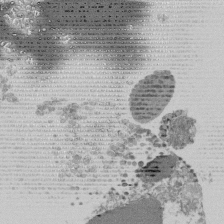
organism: Mouse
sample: Activated Pmel transgenic CD8+ T Cells